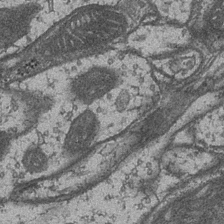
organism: Drosophila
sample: Optic medulla